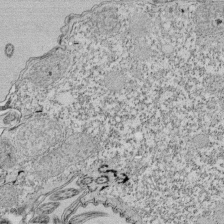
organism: Tetrahymena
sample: Cilia in tetrahymena